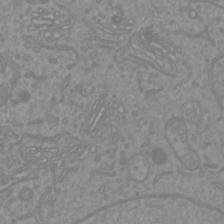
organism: Mouse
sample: Cortical neurons